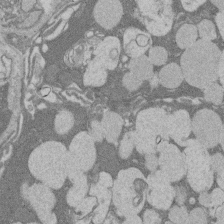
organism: Rat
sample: Salivary granule